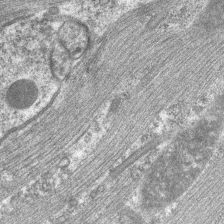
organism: C. elegans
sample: Pharynx